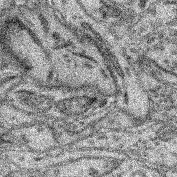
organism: Mouse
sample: Retina